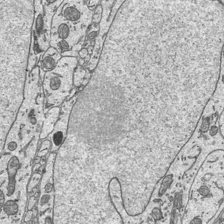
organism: Mouse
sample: Suprachiasmatic nucleus